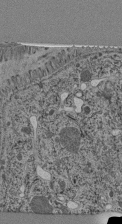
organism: C. elegans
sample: C. elegans pharynx